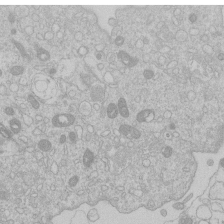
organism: Human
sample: Macrophage cells